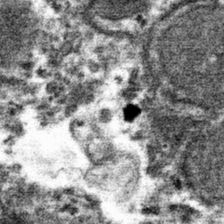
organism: Mouse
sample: Mouse hepatocytes